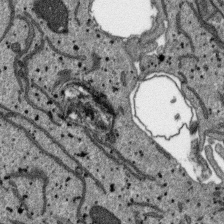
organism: Human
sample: Lung epithelial cells, uninfected (mock) control